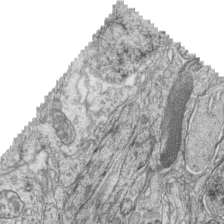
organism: Zebrafish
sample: synaptic ribbons in rod cells and cone cells